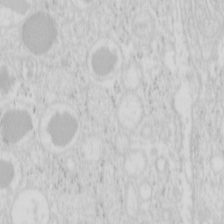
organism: Mouse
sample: Pancreas